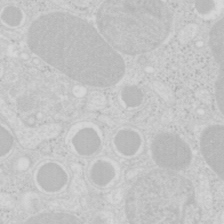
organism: Mouse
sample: Pancreas